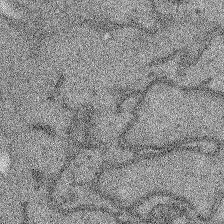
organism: Human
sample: HeLa cells